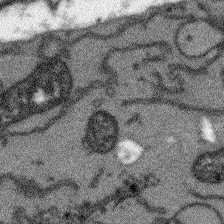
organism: Arabidopsis thaliana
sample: Root tip